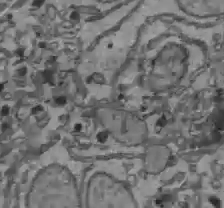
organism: C57BL Mouse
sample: Liver